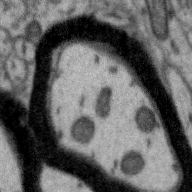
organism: Zebra finch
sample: Brain